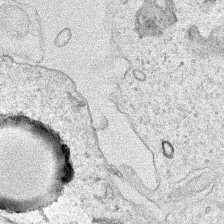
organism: Human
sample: Mitochondria in HCT116 cells